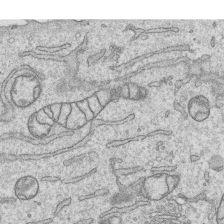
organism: Human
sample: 1205lu cells